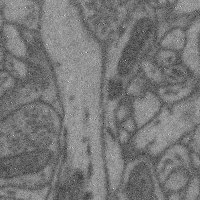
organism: Mouse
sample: Cerebral cortex